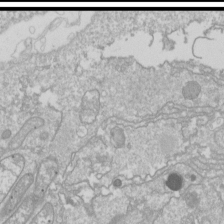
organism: Drosophila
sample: Cell division; meiosis; drosophila spermatocytes